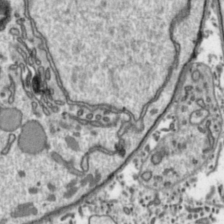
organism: Toxoplasma gondii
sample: Parasites in a vacuole inside a host cell